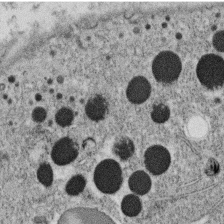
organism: C. elegans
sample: C. elegans oocyte; sperm cells